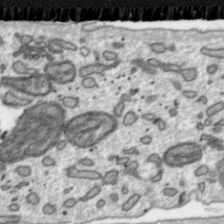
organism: Toxoplasma gondii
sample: Parasites in a vacuole inside a host cell